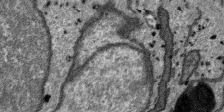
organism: Human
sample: Lung epithelial cells, uninfected (mock) control